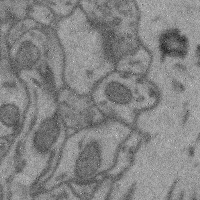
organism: Mouse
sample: Cerebral cortex